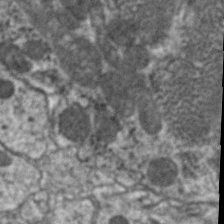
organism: C. elegans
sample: Pharynx